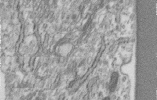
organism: Human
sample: Centriole in RPE cells